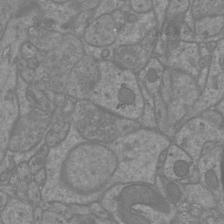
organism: Mouse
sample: Cortical neurons